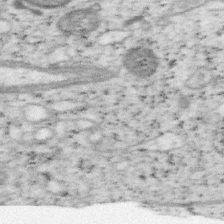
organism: Mouse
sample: OT-I killer T cells with ID8 ovarian cancer cells